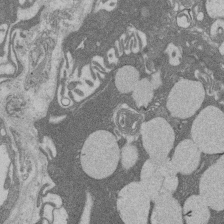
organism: Rat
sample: Salivary granule